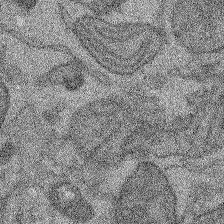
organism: Human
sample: HeLa cells